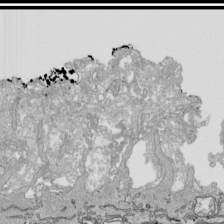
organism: Human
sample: Mitochondria in HCT116 cells